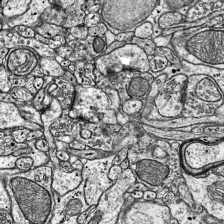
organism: Mouse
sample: Visual Cortex